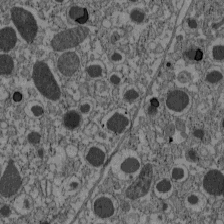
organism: C57BL Mouse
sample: Pancreatic islet